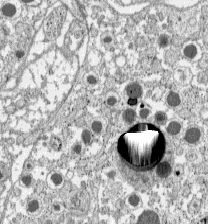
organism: C57BL Mouse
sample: Pancreatic islet